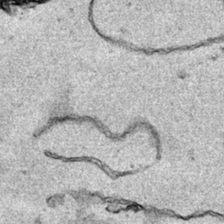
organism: Human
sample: Mitochondria in HCT116 cells